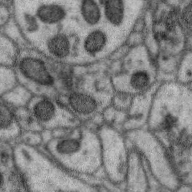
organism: Zebra finch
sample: Brain